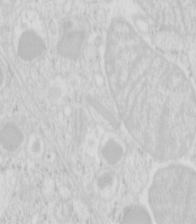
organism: Mouse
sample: Pancreas